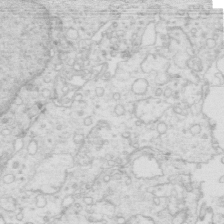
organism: Mouse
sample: Multiciliated cells